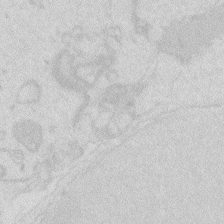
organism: Zebrafish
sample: Macrophage